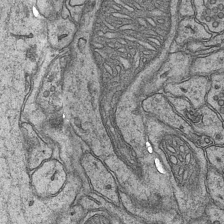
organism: Mouse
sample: CA1 Hippocampus